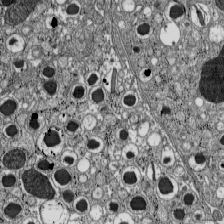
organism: C57BL Mouse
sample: Pancreatic islet